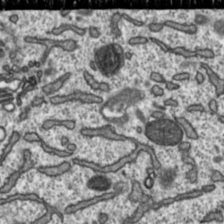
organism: Toxoplasma gondii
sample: Parasites in a vacuole inside a host cell